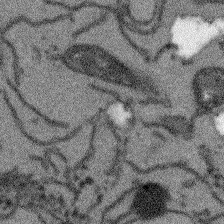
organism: Arabidopsis thaliana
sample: Root tip